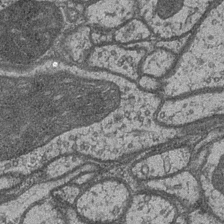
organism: Drosophila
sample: Optic medulla